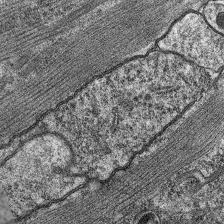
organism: C. elegans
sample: Pharynx